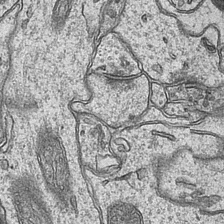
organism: Mouse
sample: CA1 Hippocampus